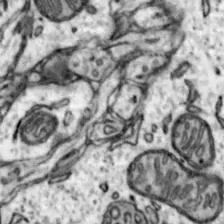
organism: Mouse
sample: Nucleus accumbens